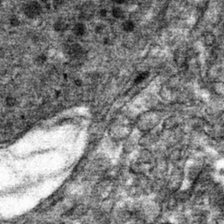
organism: Mouse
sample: Mouse hepatocytes